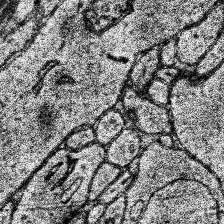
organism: Human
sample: Temporal Lobe